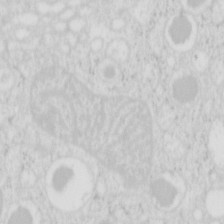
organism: Mouse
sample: Pancreas